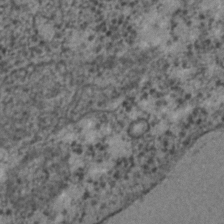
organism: C. elegans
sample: C. elegans embryo